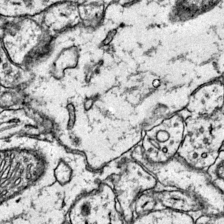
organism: Mouse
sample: Primary visual cortex